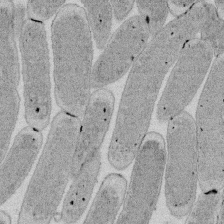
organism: E. coli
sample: Bacterial nucleoid